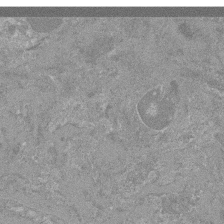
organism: Mouse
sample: Glomerulus